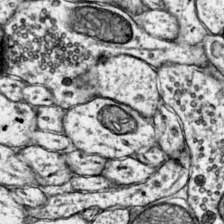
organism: Mouse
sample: Primary visual cortex